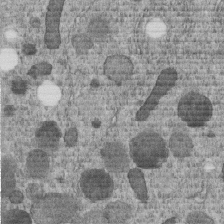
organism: C. elegans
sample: C. elegans embryo early stage